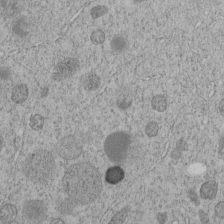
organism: C. elegans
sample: C. elegans embryo early stage